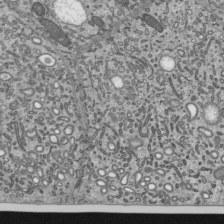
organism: Mouse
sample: Mouse epididymis efferent ductule cilia